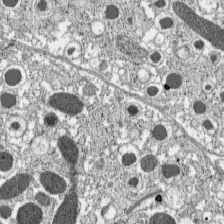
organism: C57BL Mouse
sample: Pancreatic islet